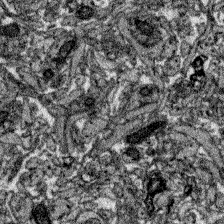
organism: Zebrafish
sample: Larval olfactory bulb